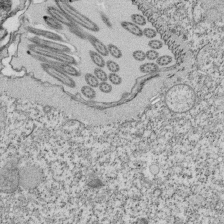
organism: Tetrahymena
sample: Cilia in tetrahymena